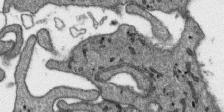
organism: Human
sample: Lung epithelial cells, uninfected (mock) control